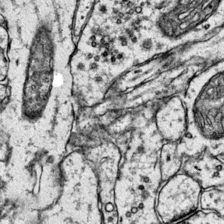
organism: Mouse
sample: Primary visual cortex